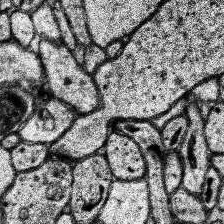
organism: Human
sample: Temporal Lobe